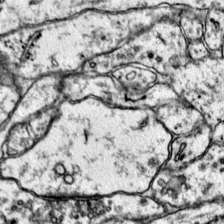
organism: Mouse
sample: Primary visual cortex